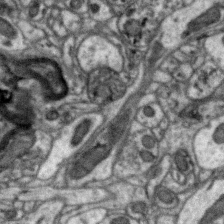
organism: Zebra finch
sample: Brain